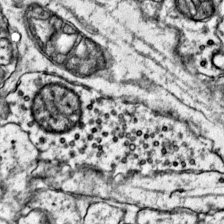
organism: Mouse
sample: Primary visual cortex